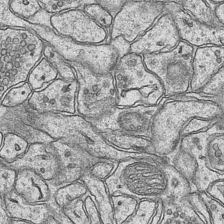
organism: Mouse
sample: CA1 Hippocampus